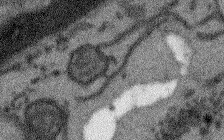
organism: Arabidopsis thaliana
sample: Root tip